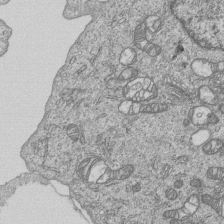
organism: Human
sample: MDA-MB-231 cells